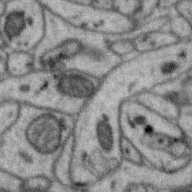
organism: Zebra finch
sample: Brain